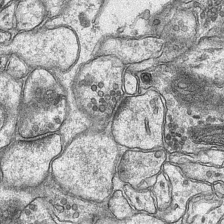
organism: Mouse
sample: CA1 Hippocampus